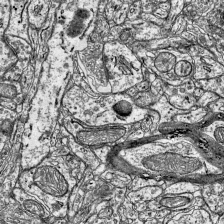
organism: Mouse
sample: Visual Cortex